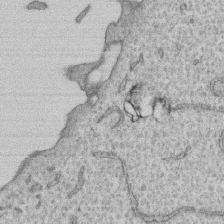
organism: Human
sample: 1205lu cells